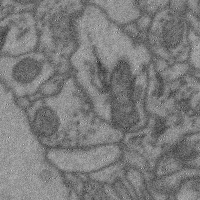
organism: Mouse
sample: Cerebral cortex